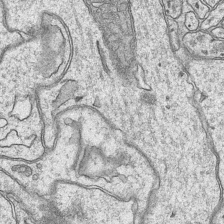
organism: Mouse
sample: CA1 Hippocampus